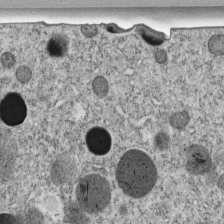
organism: C. elegans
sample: C. elegans embryo early stage